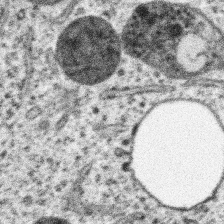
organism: Human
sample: HeLa cells